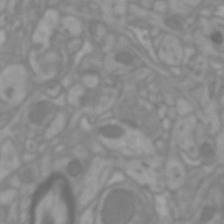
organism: Mouse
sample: Cortical neurons